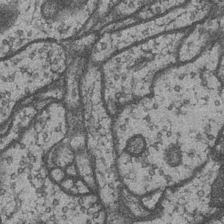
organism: Drosophila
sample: Optic medulla